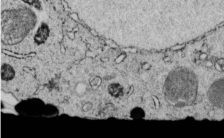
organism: C. elegans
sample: C. elegans embryo early stage